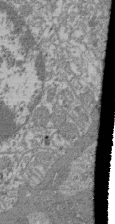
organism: Mouse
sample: Glomerulus